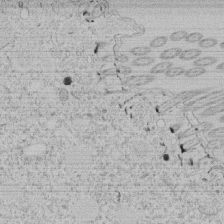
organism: Tetrahymena